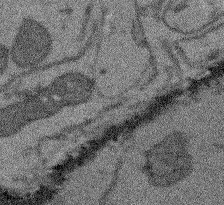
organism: Arabidopsis thaliana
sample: Root tip